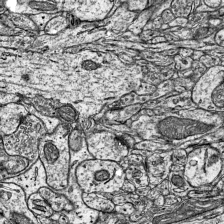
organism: Mouse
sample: Visual Cortex